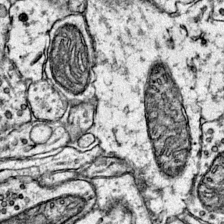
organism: Mouse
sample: Primary visual cortex